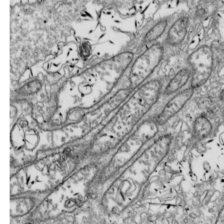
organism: Drosophila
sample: Cell division; meiosis; drosophila spermatocytes